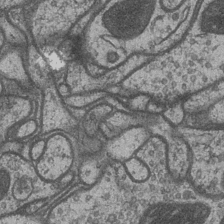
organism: Drosophila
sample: Optic medulla